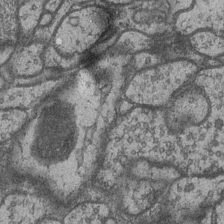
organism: Drosophila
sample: Optic medulla